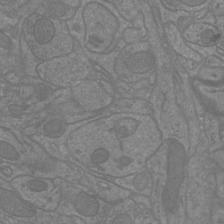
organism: Mouse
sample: Cortical neurons